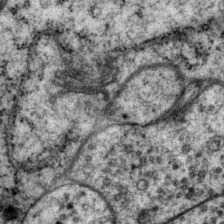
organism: P. pacificus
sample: Pharynx